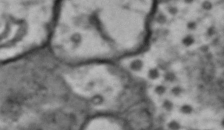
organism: Drosophila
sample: Brain